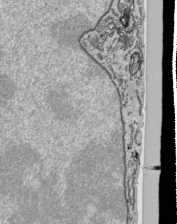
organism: Human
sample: Mitochondria in HCT116 cells